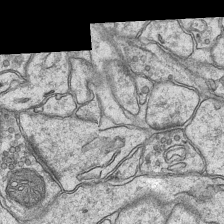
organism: Mouse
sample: CA1 Hippocampus